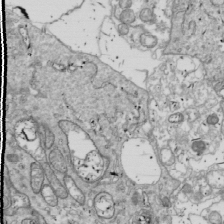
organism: Drosophila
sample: Cell division; meiosis; drosophila spermatocytes